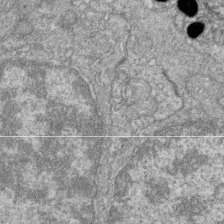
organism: Zebrafish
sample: Cilia; retinal pigment epithelium